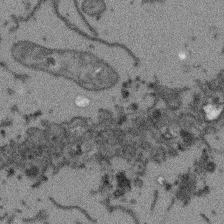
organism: Arabidopsis thaliana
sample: Root tip